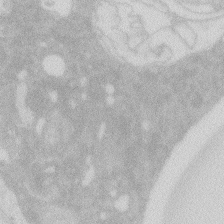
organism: Zebrafish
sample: Macrophage